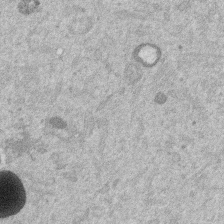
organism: Mouse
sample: Dividing mouse embryo 1 cell stage